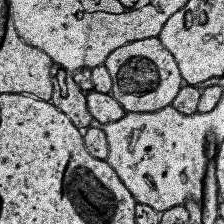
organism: Human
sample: Temporal Lobe